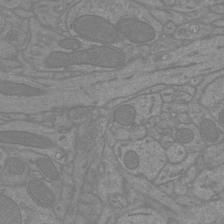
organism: Mouse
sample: Cortical neurons